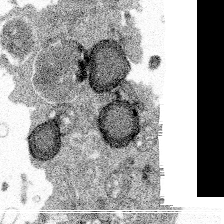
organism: Spongilla lacustris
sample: Multiple